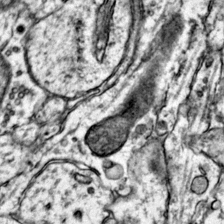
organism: Mouse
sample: Primary visual cortex